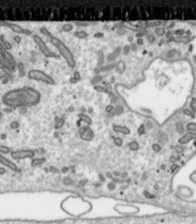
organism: Toxoplasma gondii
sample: Parasites in a vacuole inside a host cell